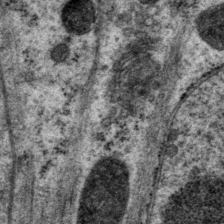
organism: P. pacificus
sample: Pharynx